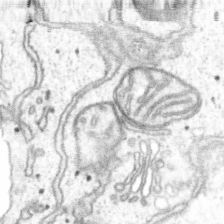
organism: Human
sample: HeLa cells